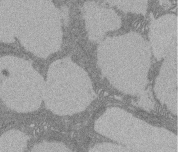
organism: Rat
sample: Salivary granule